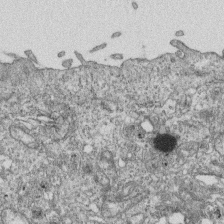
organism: Human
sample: HeLa cell HIV synapse